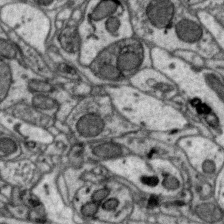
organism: Zebra finch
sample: Brain